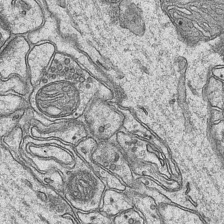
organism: Mouse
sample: CA1 Hippocampus